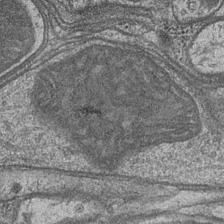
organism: Drosophila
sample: Optic medulla